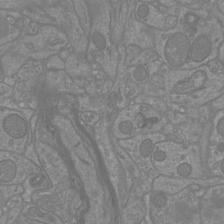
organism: Mouse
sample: Cortical neurons